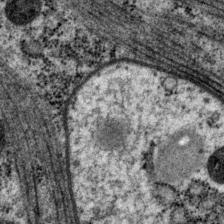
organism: P. pacificus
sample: Pharynx